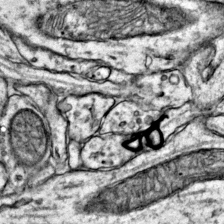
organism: Mouse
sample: Primary visual cortex